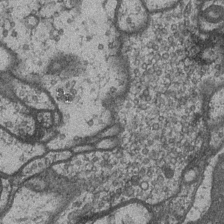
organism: Drosophila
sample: Optic medulla